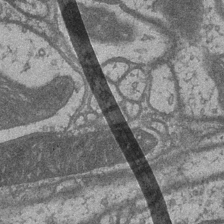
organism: Drosophila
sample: Optic medulla